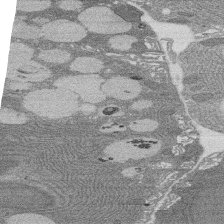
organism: Rat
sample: Salivary granule